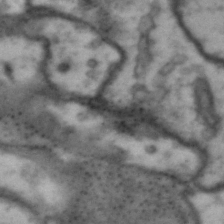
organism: Drosophila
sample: Brain